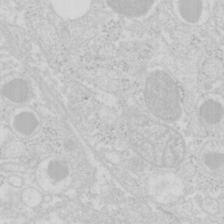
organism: Mouse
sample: Pancreas